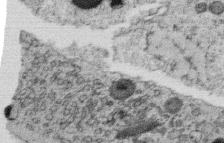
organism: C. elegans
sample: C. elegans oocyte; sperm cells